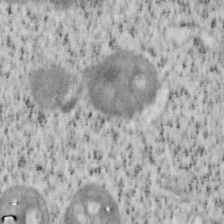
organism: Mouse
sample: OT-I killer T cells with ID8 ovarian cancer cells